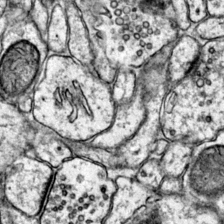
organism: Mouse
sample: Primary visual cortex